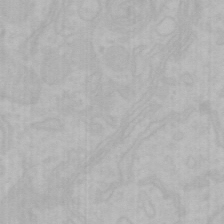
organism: Mouse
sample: Choroid plexus